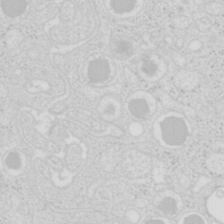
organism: Mouse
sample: Pancreas